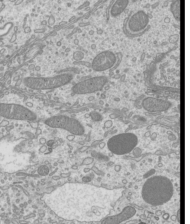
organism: Mouse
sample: Cilia; mouse epididymis